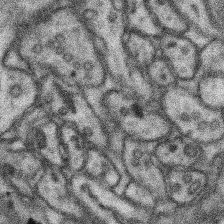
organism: Mouse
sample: Somatosensory cortex neuropil